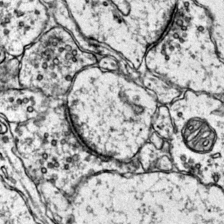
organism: Mouse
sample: Primary visual cortex